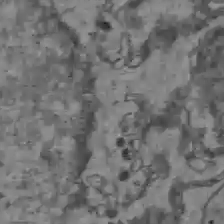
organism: C57BL Mouse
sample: Liver